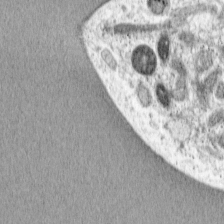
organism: African green monkey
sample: COS-7 cells